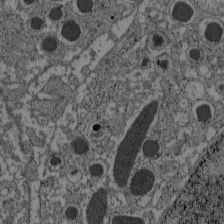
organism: C57BL Mouse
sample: Pancreatic islet